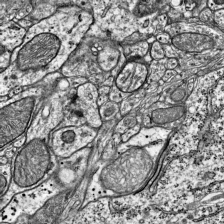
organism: Mouse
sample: Visual Cortex